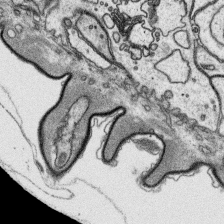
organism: Platynereis dumerilii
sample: Parapodia